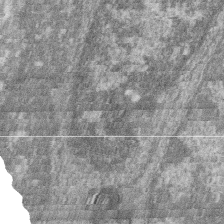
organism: Zebrafish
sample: Cilia; retinal pigment epithelium